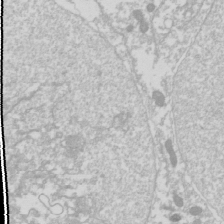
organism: Drosophila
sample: Cell division; meiosis; drosophila spermatocytes